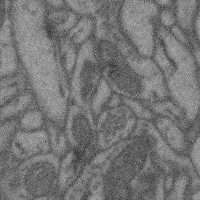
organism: Mouse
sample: Cerebral cortex